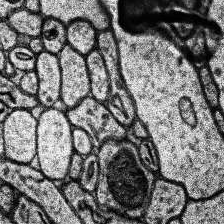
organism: Human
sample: Temporal Lobe